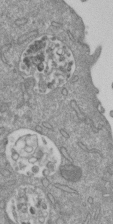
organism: Mouse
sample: ED-1 cell nuclei; centrioles